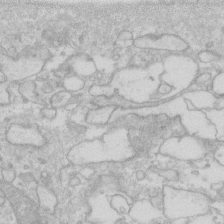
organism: Human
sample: Fibroblast cells